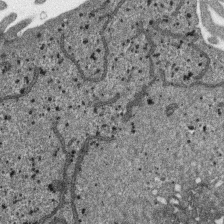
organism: Human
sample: Lung epithelial cells infected with SARS-CoV-2